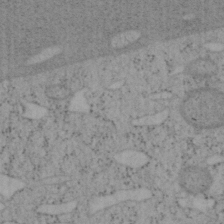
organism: Mouse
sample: OT-I killer T cells with ID8 ovarian cancer cells